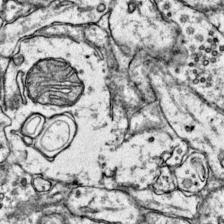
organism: Mouse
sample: Primary visual cortex